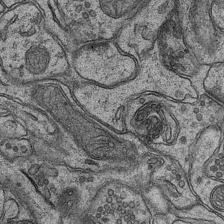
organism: Mouse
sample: CA1 Hippocampus